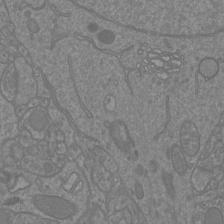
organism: Mouse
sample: Cortical neurons